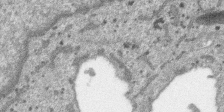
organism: Human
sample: Lung epithelial cells infected with SARS-CoV-2